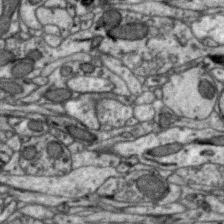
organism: Zebra finch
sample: Brain